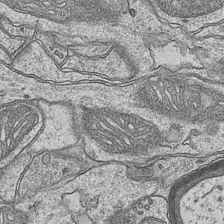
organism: Mouse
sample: CA1 Hippocampus